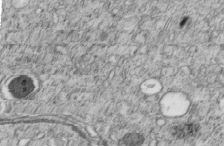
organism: C. elegans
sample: C. elegans embryo early stage